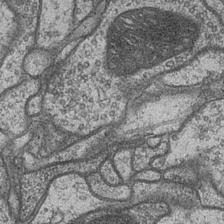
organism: Drosophila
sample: Optic medulla